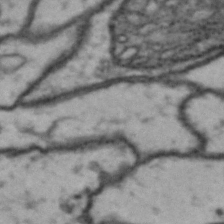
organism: Drosophila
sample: Brain